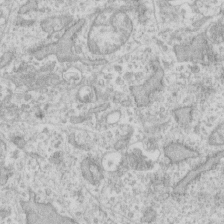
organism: Human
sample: Fibroblast cells